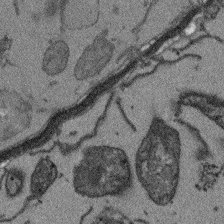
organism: Arabidopsis thaliana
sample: Root tip